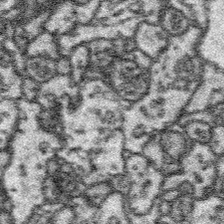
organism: Platynereis dumerilii